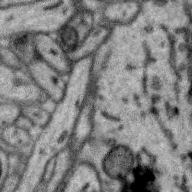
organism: Zebra finch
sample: Brain